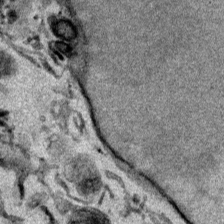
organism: Mouse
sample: Cancer cell death in ED-1 cells